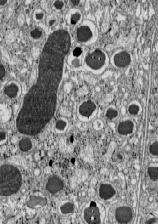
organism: C57BL Mouse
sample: Pancreatic islet